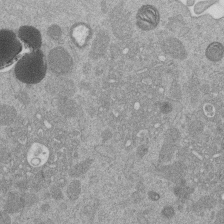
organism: Mouse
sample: Dividing mouse embryo 1 cell stage